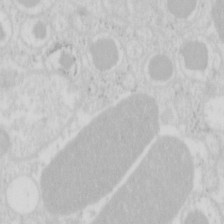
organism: Mouse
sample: Pancreas